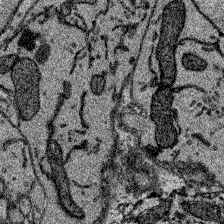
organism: Zebrafish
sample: Larval olfactory bulb